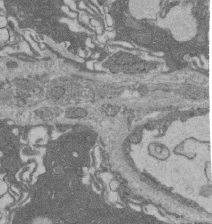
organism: Rat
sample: Salivary granule